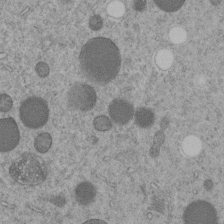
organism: C. elegans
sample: C. elegans embryo early stage